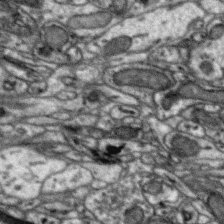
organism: Zebra finch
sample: Brain